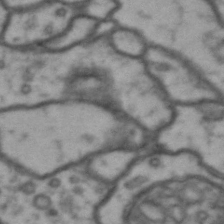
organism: Drosophila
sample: Brain